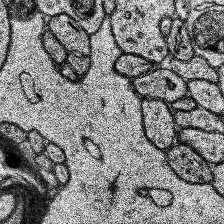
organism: Human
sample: Temporal Lobe